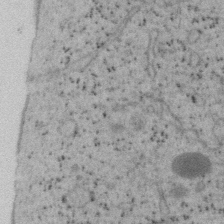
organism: Human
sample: HeLa cells